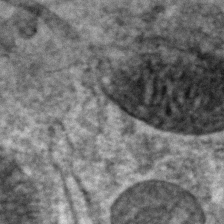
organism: Zebrafish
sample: Zebrafish embryo